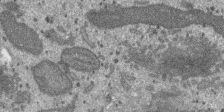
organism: Human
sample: Lung epithelial cells infected with SARS-CoV-2